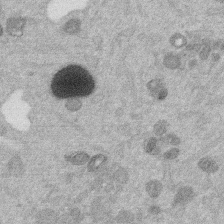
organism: Mouse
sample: Dividing mouse embryo 1 cell stage